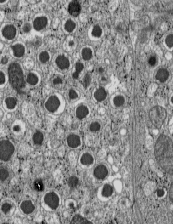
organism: C57BL Mouse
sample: Pancreatic islet